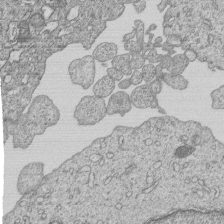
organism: Human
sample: MDA-MB-231 cells